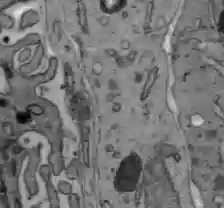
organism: C57BL Mouse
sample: Liver